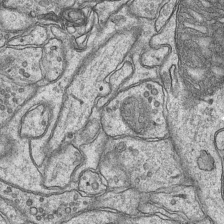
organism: Mouse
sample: CA1 Hippocampus